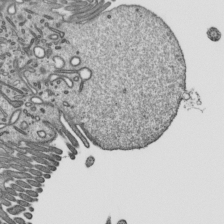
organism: Mouse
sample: Mouse epididymis efferent ductule cilia